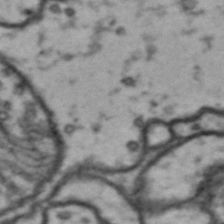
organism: Drosophila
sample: Brain